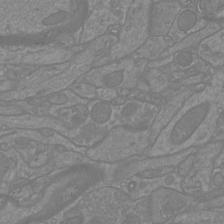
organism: Mouse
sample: Cortical neurons